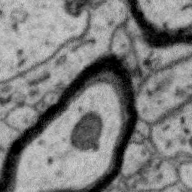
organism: Zebra finch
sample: Brain